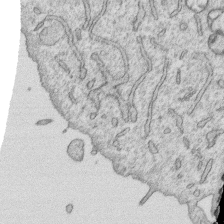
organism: Human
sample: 1205lu cells